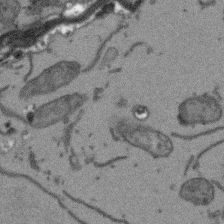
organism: Arabidopsis thaliana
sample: Root tip